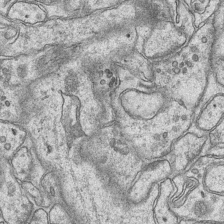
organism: Mouse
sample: CA1 Hippocampus